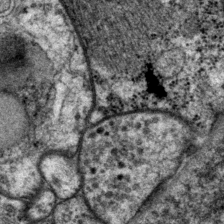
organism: P. pacificus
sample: Pharynx